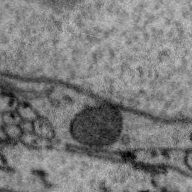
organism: Zebra finch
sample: Brain